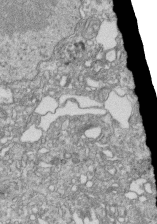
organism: Human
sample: HeLa cell HIV synapse